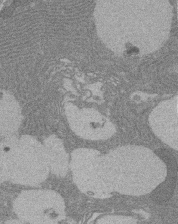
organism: Rat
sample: Salivary granule